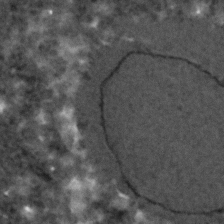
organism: C. elegans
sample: C. elegans embryo